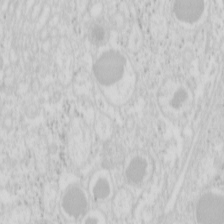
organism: Mouse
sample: Pancreas